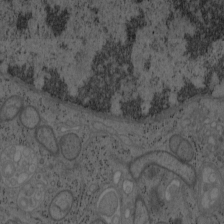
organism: Mouse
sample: OT-I killer T cells with ID8 ovarian cancer cells